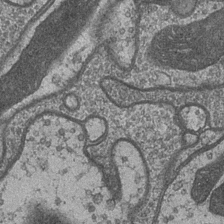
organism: Drosophila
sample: Optic medulla